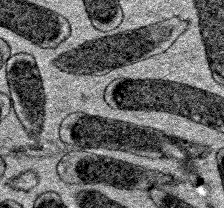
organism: E. coli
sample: E. Coli Bacteria